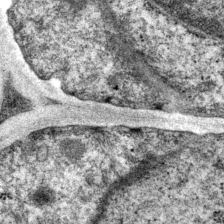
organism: P. pacificus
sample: Pharynx